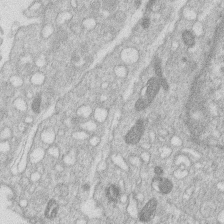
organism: Human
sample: Macrophage cells